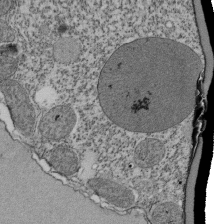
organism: Tetrahymena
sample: Cilia in tetrahymena